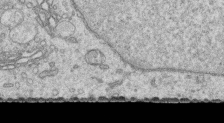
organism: Human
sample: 1205lu cells